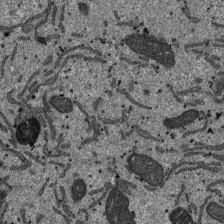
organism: Human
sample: Lung epithelial cells infected with SARS-CoV-2